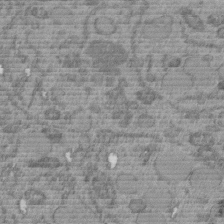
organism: C. elegans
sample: C. elegans embryo early stage